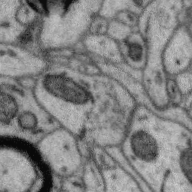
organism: Zebra finch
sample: Brain